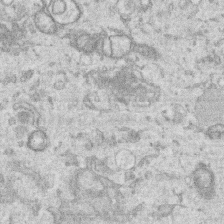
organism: Human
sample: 1205lu cells